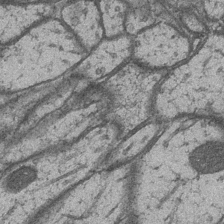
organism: Drosophila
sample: Optic medulla